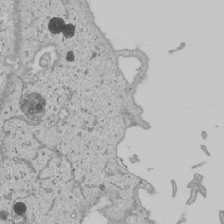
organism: Human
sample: Mitochondria in U2OS cells